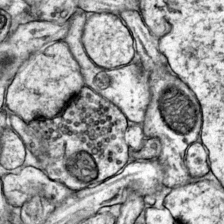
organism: Mouse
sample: Primary visual cortex